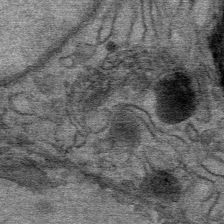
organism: Mouse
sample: Mouse Salivary gland